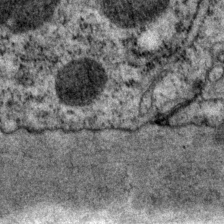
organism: P. pacificus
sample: Pharynx